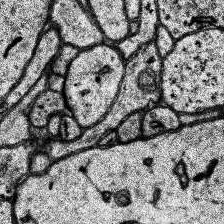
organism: Human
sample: Temporal Lobe